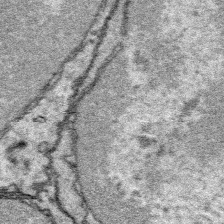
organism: Platynereis dumerilii